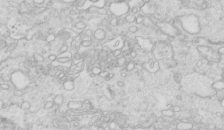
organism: Mouse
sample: Multiciliated cells